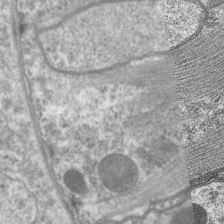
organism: C. elegans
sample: Pharynx